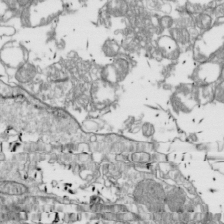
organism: Drosophila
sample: Cell division; meiosis; drosophila spermatocytes